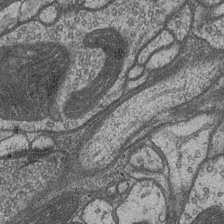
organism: Drosophila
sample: Optic medulla